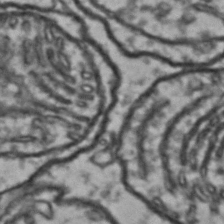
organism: Drosophila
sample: Brain